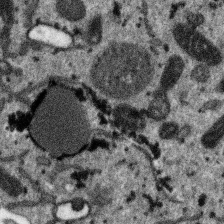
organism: Human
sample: Lung epithelial cells infected with SARS-CoV-2